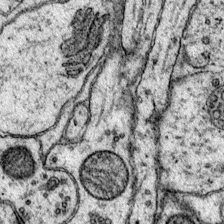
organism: Mouse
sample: Primary visual cortex